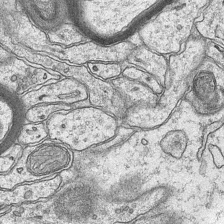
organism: Mouse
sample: CA1 Hippocampus